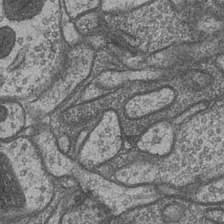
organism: Drosophila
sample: Optic medulla